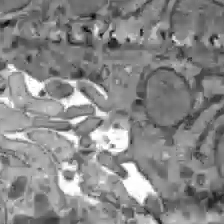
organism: C57BL Mouse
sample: Liver